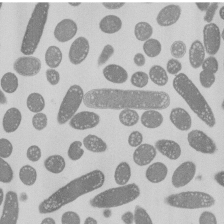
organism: E. coli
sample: Bacterial nucleoid